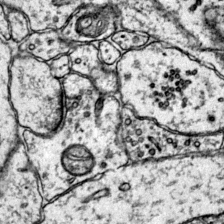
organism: Mouse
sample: Primary visual cortex